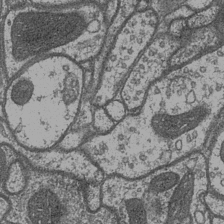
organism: Drosophila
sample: Optic medulla